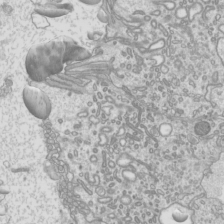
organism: Mouse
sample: Cilia; mouse epididymis